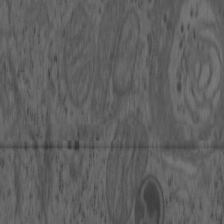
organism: Human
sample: HeLa cells